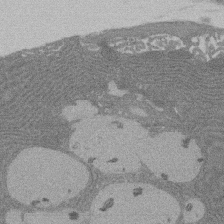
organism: Rat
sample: Salivary granule